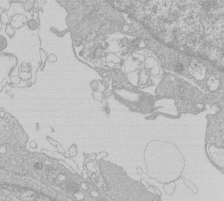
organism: Human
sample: Macrophage cells